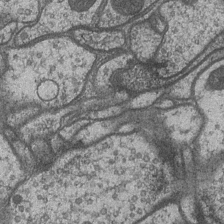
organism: Drosophila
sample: Optic medulla